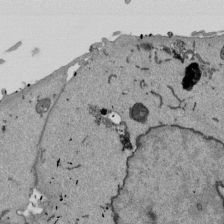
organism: Mouse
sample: ED-1 cell nuclei; centrioles